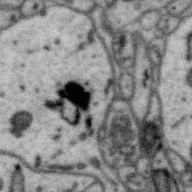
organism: Zebra finch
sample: Brain